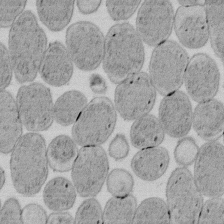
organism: E. coli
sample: Bacterial nucleoid